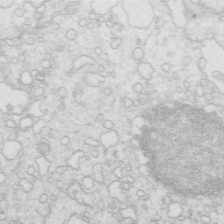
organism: Mouse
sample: Multiciliated cells